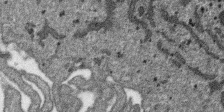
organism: Human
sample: Lung epithelial cells infected with SARS-CoV-2